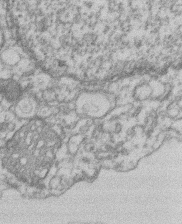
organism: Mouse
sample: T cell stromal cell synapse